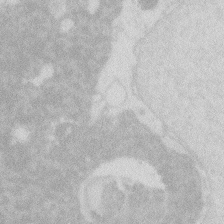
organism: Zebrafish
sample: Macrophage